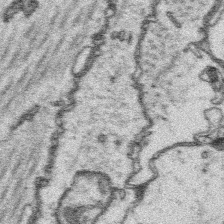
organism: Platynereis dumerilii